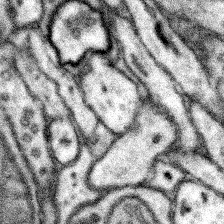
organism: Mouse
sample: Somatosensory cortex neuropil